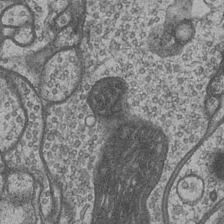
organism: Drosophila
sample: Optic medulla